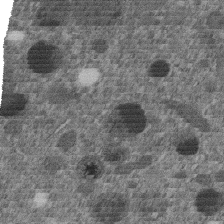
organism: C. elegans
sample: C. elegans embryo early stage